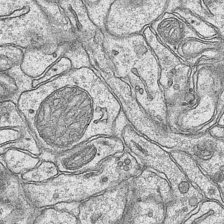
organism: Mouse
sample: CA1 Hippocampus